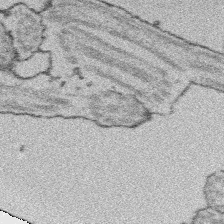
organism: Platynereis dumerilii